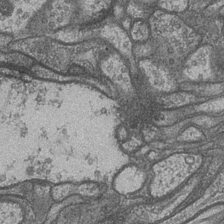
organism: Drosophila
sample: Optic medulla